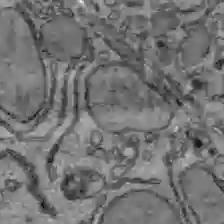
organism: C57BL Mouse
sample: Liver